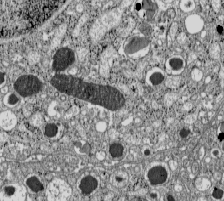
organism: C57BL Mouse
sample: Pancreatic islet